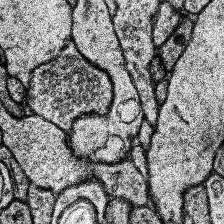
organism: Human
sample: Temporal Lobe